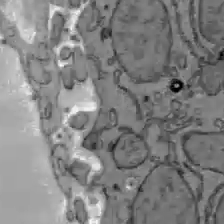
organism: C57BL Mouse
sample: Liver